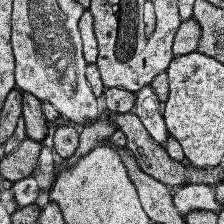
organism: Human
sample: Temporal Lobe